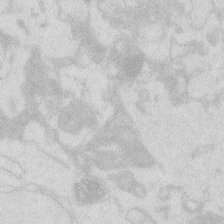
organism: Zebrafish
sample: Macrophage